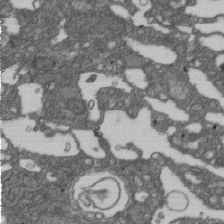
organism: Drosophila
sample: Nephrocyte